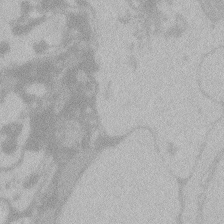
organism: Zebrafish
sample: Macrophage infected with Toxoplasma gondii